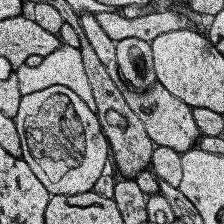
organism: Human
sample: Temporal Lobe